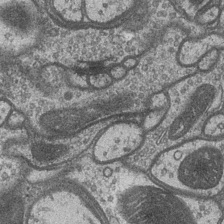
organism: Drosophila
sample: Optic medulla